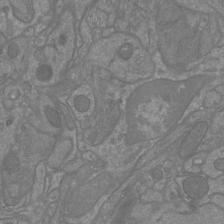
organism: Mouse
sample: Cortical neurons